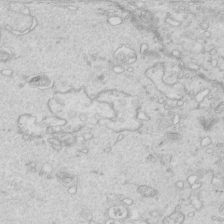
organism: Mouse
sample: Multiciliated cells